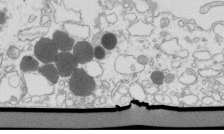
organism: Mouse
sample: Macrophages